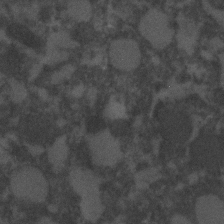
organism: C. elegans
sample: C. elegans embryo